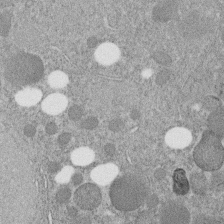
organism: C. elegans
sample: C. elegans embryo early stage